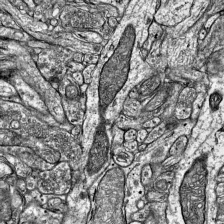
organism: Mouse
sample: Visual Cortex